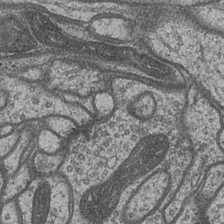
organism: Drosophila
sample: Optic medulla